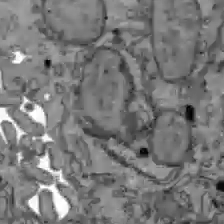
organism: C57BL Mouse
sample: Liver